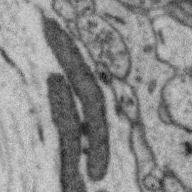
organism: Zebra finch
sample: Brain